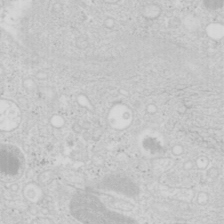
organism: Mouse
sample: Pancreas